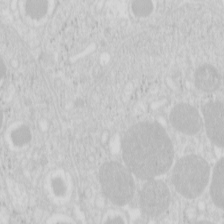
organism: Mouse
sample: Pancreas